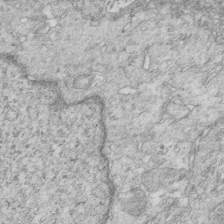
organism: Mouse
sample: Multiciliated cells